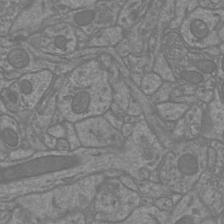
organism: Mouse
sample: Cortical neurons